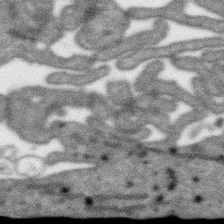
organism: Human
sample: Lung epithelial cells infected with SARS-CoV-2